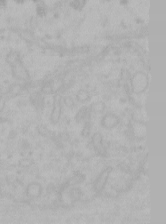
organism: Mouse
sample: Choroid plexus